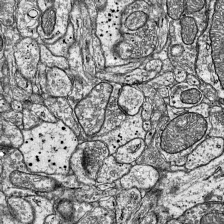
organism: Mouse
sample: Visual Cortex